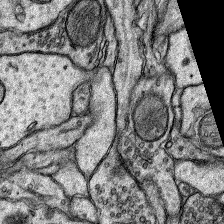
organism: Rat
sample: Hippocampus